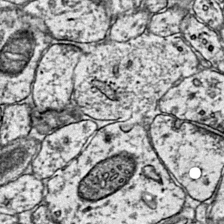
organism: Mouse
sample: Primary visual cortex